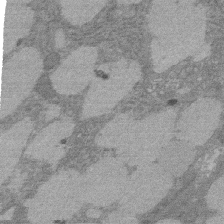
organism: Rat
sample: Salivary granule